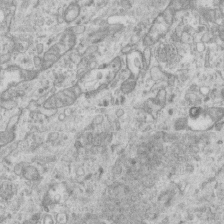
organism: Mouse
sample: Centriole in ependymal cells